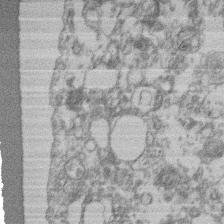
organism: Mouse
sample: T cell stromal cell synapse